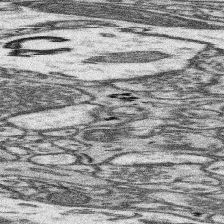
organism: Mouse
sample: Somatosensory cortex neuropil